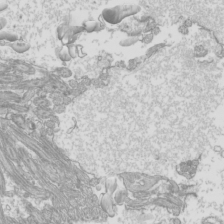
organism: Mouse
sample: Cilia; mouse epididymis